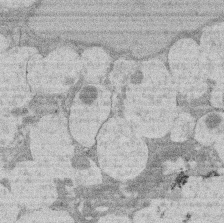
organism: Rat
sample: Salivary granule